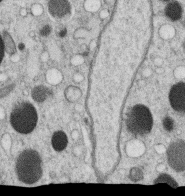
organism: C. elegans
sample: C. elegans oocyte; sperm cells